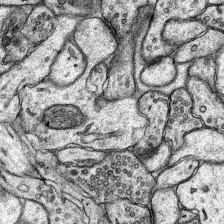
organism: Rat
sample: Hippocampus